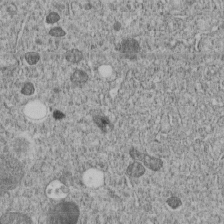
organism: C. elegans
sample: C. elegans embryo early stage